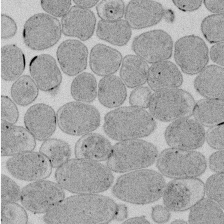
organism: E. coli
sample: Bacterial nucleoid